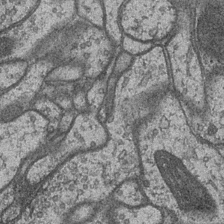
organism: Drosophila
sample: Optic medulla